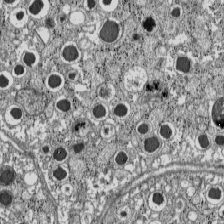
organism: C57BL Mouse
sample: Pancreatic islet